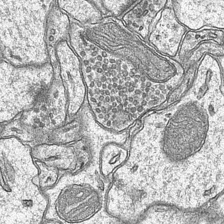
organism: Mouse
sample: CA1 Hippocampus